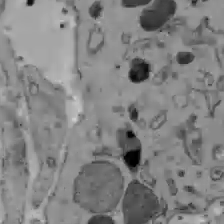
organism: C57BL Mouse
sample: Liver